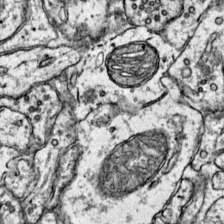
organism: Mouse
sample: Primary visual cortex